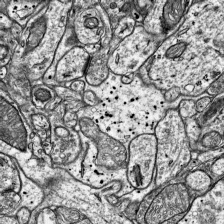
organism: Mouse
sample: Visual Cortex